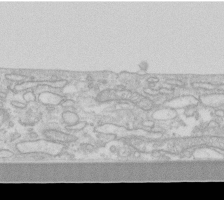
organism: Human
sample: Fibroblast cells